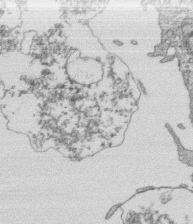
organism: Human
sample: HeLa cell HIV synapse